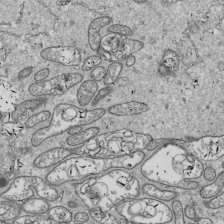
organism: Drosophila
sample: Cell division; meiosis; drosophila spermatocytes